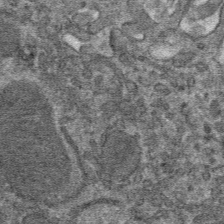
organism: Mouse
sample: Mouse hepatocytes